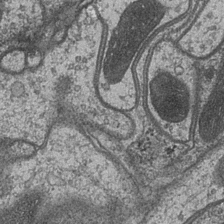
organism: Drosophila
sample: Optic medulla